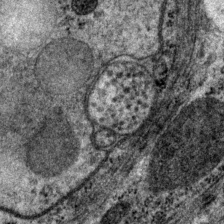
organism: P. pacificus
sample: Pharynx